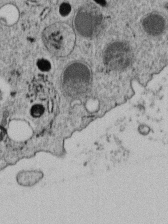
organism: C. elegans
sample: C. elegans embryo early stage